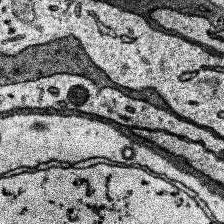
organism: Human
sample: Temporal Lobe